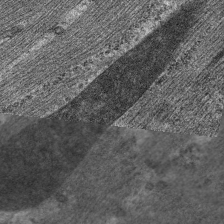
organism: C. elegans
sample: Pharynx